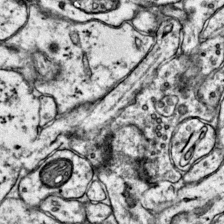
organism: Mouse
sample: Primary visual cortex